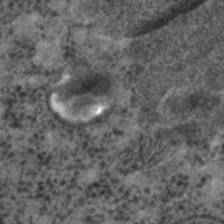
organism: C. elegans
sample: C. elegans embryo